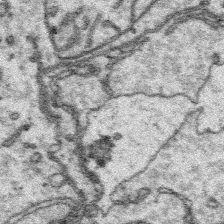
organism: Platynereis dumerilii